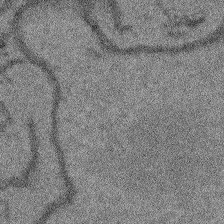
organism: Arabidopsis thaliana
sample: Root tip